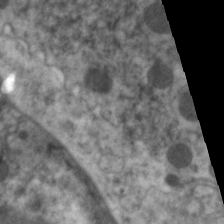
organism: C. elegans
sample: Pharynx